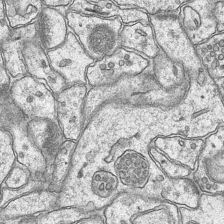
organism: Mouse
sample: CA1 Hippocampus